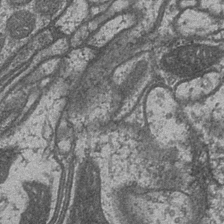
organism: Drosophila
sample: Optic medulla